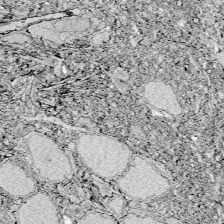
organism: Zebrafish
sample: Whole-Brain